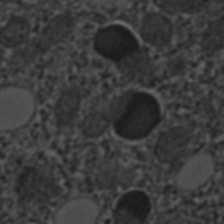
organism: C. elegans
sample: C. elegans embryo